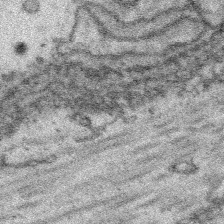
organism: Platynereis dumerilii